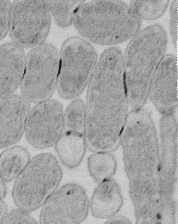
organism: E. coli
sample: Bacterial nucleoid